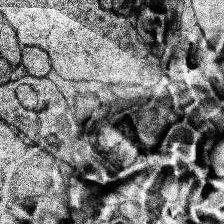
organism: Human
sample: Temporal Lobe